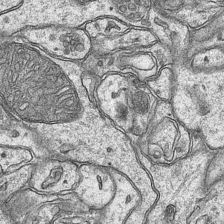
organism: Mouse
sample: CA1 Hippocampus